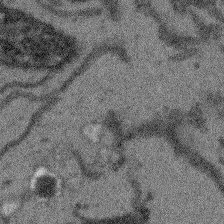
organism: Arabidopsis thaliana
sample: Root tip